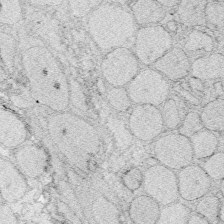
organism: Zebrafish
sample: Whole-Brain